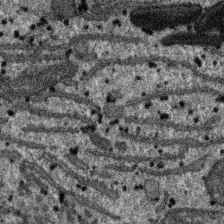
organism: Human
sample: Lung epithelial cells infected with SARS-CoV-2